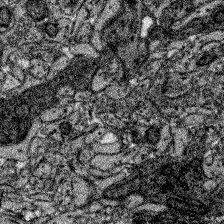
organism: Zebrafish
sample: Larval olfactory bulb